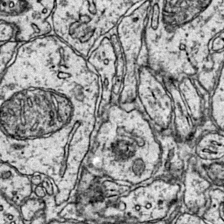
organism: Mouse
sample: Primary visual cortex